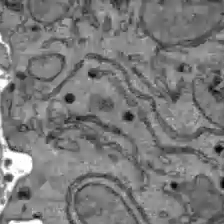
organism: C57BL Mouse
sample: Liver